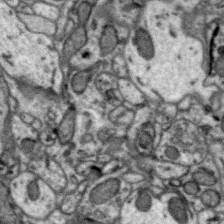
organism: Zebra finch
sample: Brain